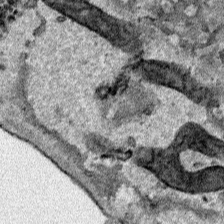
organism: Human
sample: Mitochondria in HCT116 cells